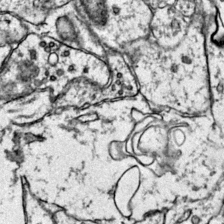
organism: Mouse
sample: Primary visual cortex